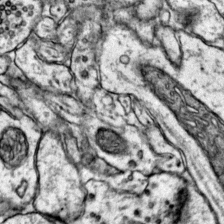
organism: Mouse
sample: Primary visual cortex